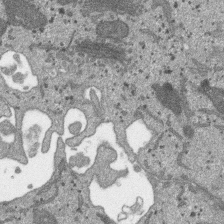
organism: Human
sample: Lung epithelial cells infected with SARS-CoV-2